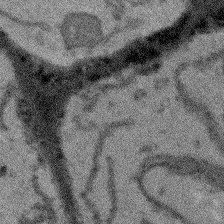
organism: Arabidopsis thaliana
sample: Root tip